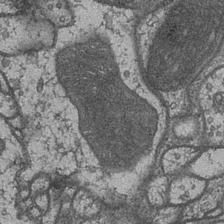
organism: Drosophila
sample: Optic medulla